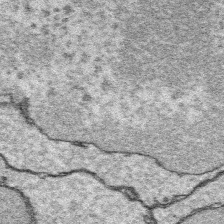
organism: Platynereis dumerilii